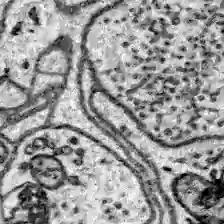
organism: Zebrafish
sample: Brain